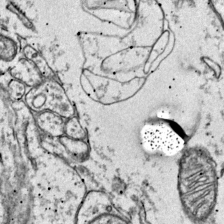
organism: Mouse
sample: Primary visual cortex